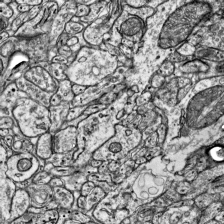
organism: Mouse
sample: Visual Cortex